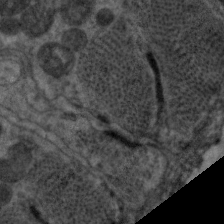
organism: C. elegans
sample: Pharynx